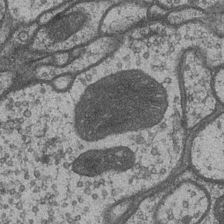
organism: Drosophila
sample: Optic medulla